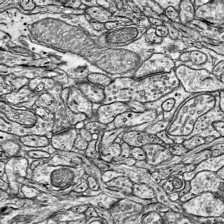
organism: Mouse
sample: Visual Cortex